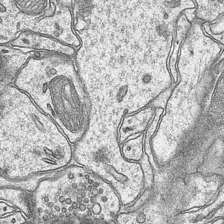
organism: Mouse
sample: CA1 Hippocampus